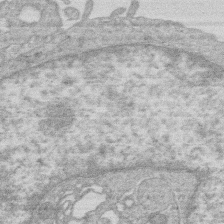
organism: Human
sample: Macrophage cells